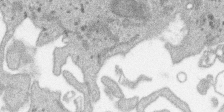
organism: Human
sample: Lung epithelial cells infected with SARS-CoV-2